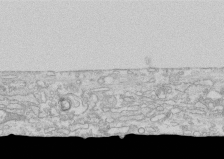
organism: Human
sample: CRL-1474